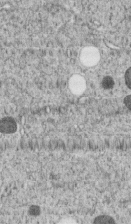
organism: C. elegans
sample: C. elegans embryo early stage